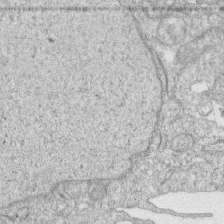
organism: Human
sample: HeLa cell HIV synapse